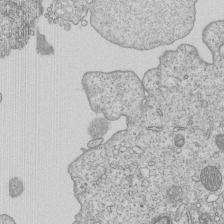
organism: Human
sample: MDA-MB-231 cells